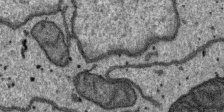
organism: Human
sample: Lung epithelial cells, uninfected (mock) control